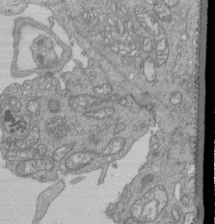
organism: Human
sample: Retinal organoid Rod and Cone cells